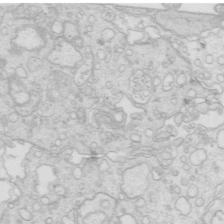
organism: Mouse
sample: Multiciliated cells